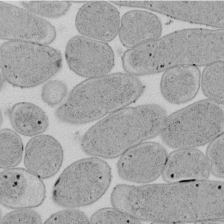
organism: E. coli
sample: Bacterial nucleoid